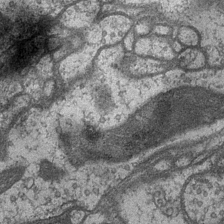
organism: Drosophila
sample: Optic medulla